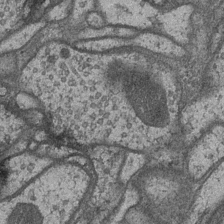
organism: Drosophila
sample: Optic medulla